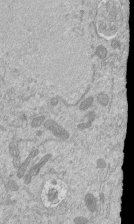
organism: Mouse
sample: ED-1 cell nuclei; centrioles